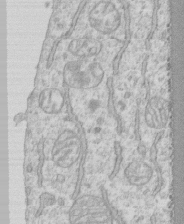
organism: Human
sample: CRL-1474